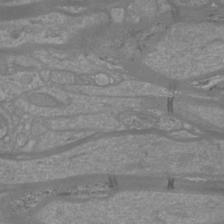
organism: Mouse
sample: Cortical neurons